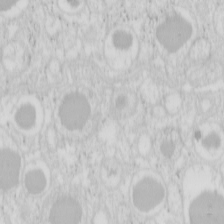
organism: Mouse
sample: Pancreas